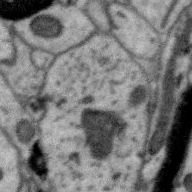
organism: Zebra finch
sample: Brain